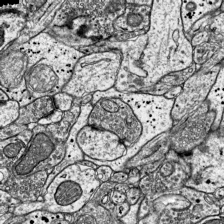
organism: Mouse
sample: Visual Cortex